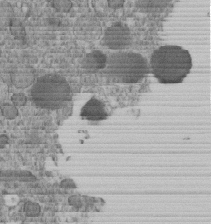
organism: C. elegans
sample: C. elegans embryo early stage